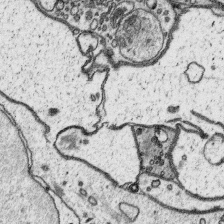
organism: Platynereis dumerilii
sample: Parapodia